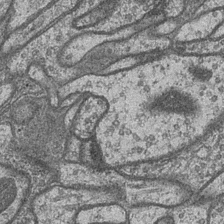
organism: Drosophila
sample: Optic medulla